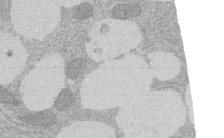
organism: Rat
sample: Salivary granule